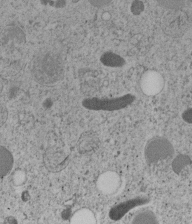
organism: C. elegans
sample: C. elegans embryo early stage